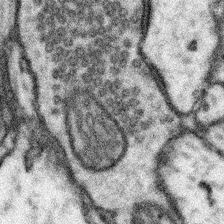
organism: Mouse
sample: Somatosensory cortex neuropil